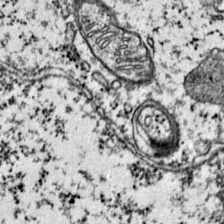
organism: Mouse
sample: Primary visual cortex